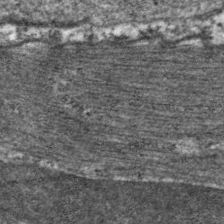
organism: C. elegans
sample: Pharynx